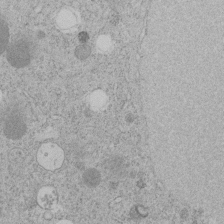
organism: C. elegans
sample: C. elegans embryo early stage